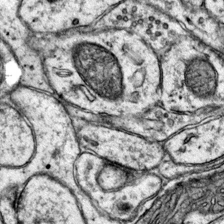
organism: Mouse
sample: Primary visual cortex